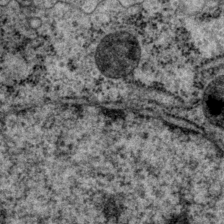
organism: P. pacificus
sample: Pharynx